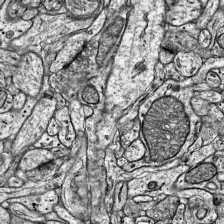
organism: Mouse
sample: Visual Cortex